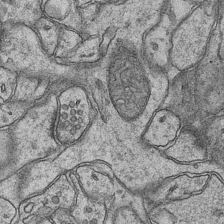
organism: Mouse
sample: CA1 Hippocampus